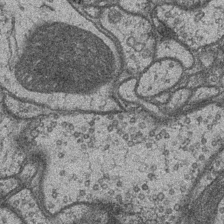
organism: Drosophila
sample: Optic medulla